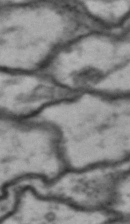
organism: Drosophila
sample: Brain